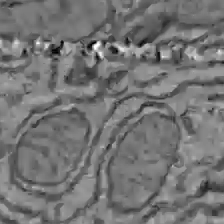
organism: C57BL Mouse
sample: Liver